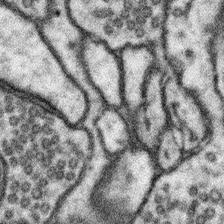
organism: Mouse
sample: Somatosensory cortex neuropil